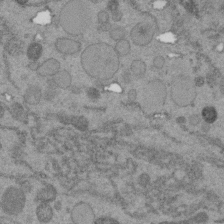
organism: C. elegans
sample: C. elegans embryo early stage